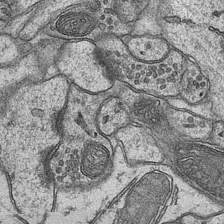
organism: Mouse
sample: CA1 Hippocampus